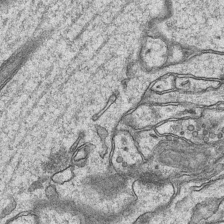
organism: Mouse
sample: CA1 Hippocampus